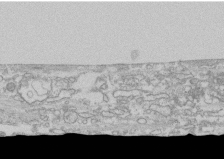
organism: Human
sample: CRL-1474